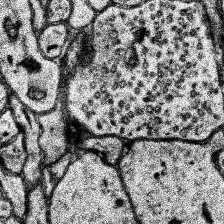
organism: Human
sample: Temporal Lobe